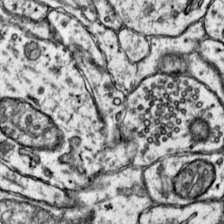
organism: Mouse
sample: Primary visual cortex